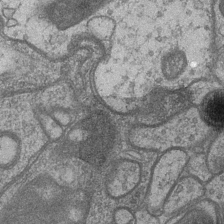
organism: Drosophila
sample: Optic medulla